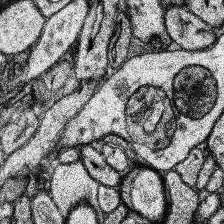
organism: Human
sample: Temporal Lobe